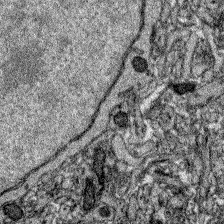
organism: Zebrafish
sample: Larval olfactory bulb